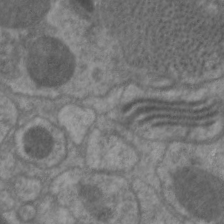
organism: C. elegans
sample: Pharynx